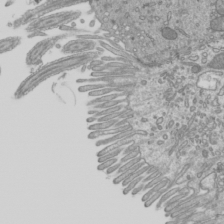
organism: Mouse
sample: Cilia; mouse epididymis